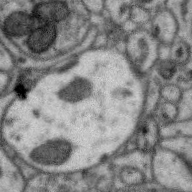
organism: Zebra finch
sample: Brain